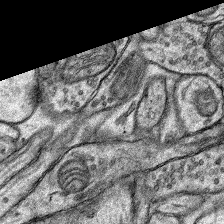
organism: Rat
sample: Hippocampus